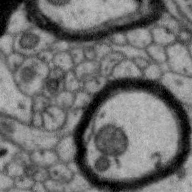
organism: Zebra finch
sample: Brain